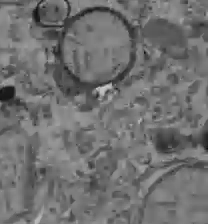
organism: C57BL Mouse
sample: Liver